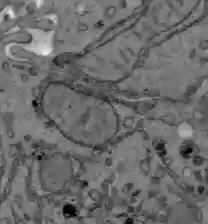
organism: C57BL Mouse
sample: Liver